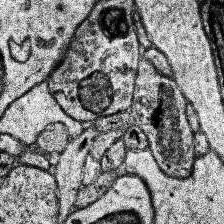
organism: Human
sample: Temporal Lobe